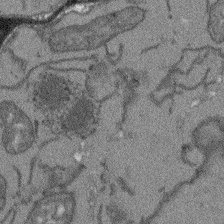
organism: Arabidopsis thaliana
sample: Root tip